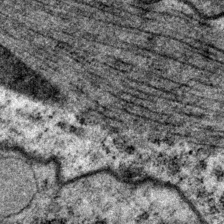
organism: P. pacificus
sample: Pharynx